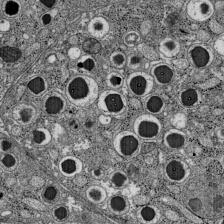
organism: C57BL Mouse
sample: Pancreatic islet